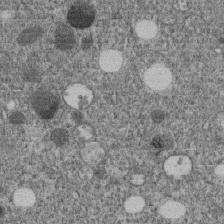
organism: C. elegans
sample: C. elegans embryo early stage